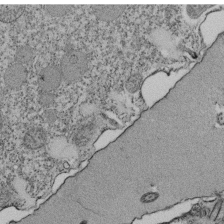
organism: Tetrahymena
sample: Cilia in tetrahymena